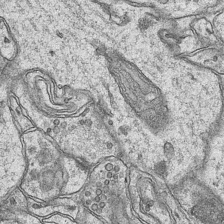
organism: Mouse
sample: CA1 Hippocampus